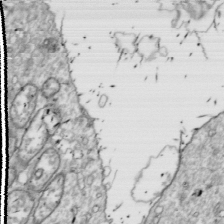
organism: Drosophila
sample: Cell division; meiosis; drosophila spermatocytes